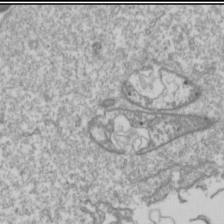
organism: Drosophila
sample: Cell division; meiosis; drosophila spermatocytes